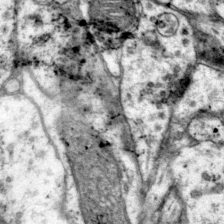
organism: Mouse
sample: Primary visual cortex